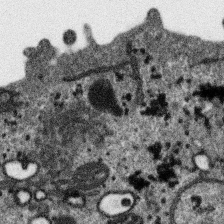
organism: Human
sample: Lung epithelial cells infected with SARS-CoV-2